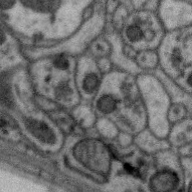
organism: Zebra finch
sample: Brain